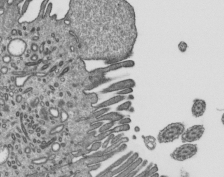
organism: Mouse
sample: Mouse epididymis efferent ductule cilia